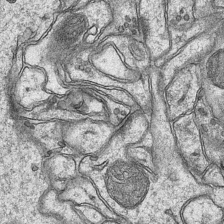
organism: Mouse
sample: CA1 Hippocampus